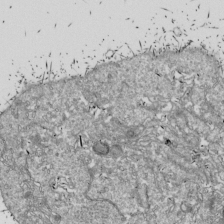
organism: Drosophila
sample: Cell division; meiosis; drosophila spermatocytes